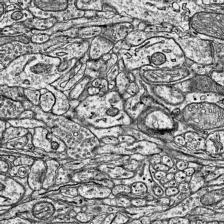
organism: Mouse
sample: Visual Cortex